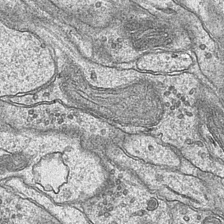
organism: Mouse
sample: CA1 Hippocampus